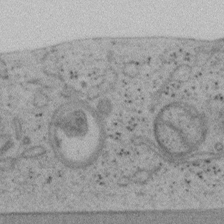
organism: Human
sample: HeLa cells